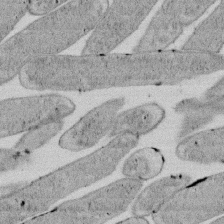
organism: E. coli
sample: Bacterial nucleoid